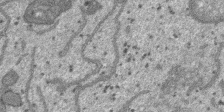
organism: Human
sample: Lung epithelial cells infected with SARS-CoV-2